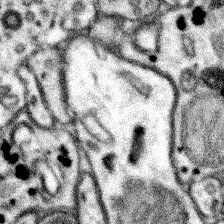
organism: Mouse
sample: Somatosensory cortex neuropil